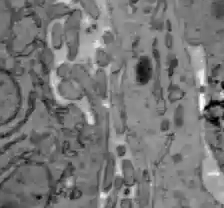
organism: C57BL Mouse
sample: Liver